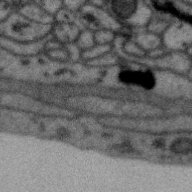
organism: Zebra finch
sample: Brain